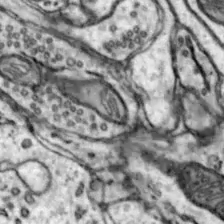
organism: Mouse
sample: Nucleus accumbens